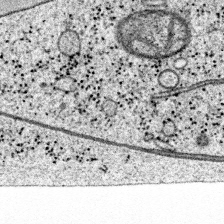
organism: Human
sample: HeLa cells